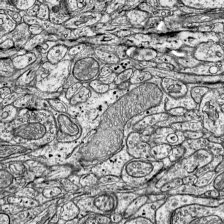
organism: Mouse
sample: Visual Cortex